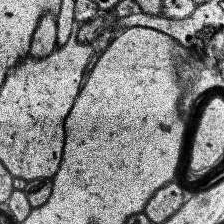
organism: Human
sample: Temporal Lobe